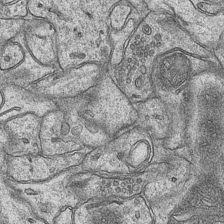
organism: Mouse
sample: CA1 Hippocampus